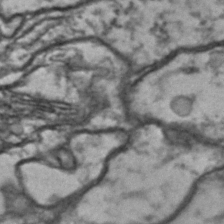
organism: Drosophila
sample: Brain